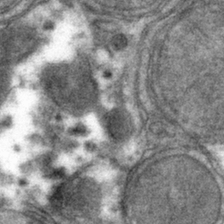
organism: Mouse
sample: Mouse hepatocytes